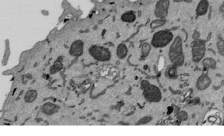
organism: Mouse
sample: ED-1 cell nuclei; centrioles